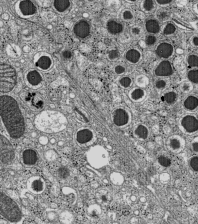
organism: C57BL Mouse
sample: Pancreatic islet